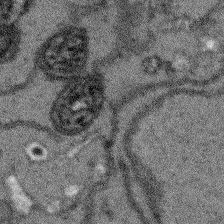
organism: Arabidopsis thaliana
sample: Root tip